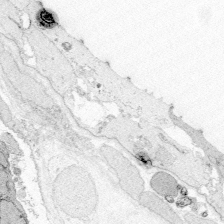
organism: Zebrafish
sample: Whole-Brain